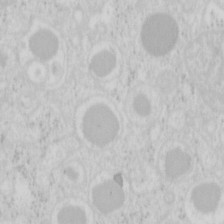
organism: Mouse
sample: Pancreas